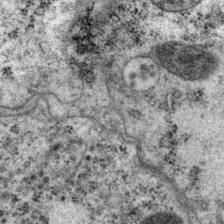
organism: P. pacificus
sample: Pharynx